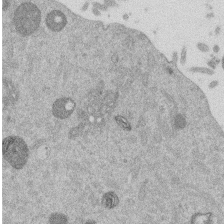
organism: Mouse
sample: Dividing mouse embryo 1 cell stage